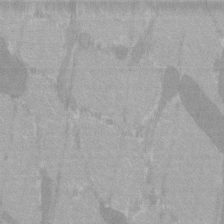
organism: C57BL Mouse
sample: Tibialis anterior muscle cell